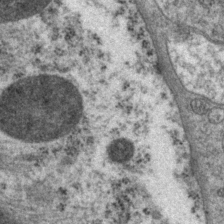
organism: P. pacificus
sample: Pharynx